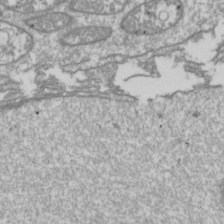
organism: Drosophila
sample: Cell division; meiosis; drosophila spermatocytes